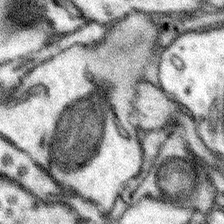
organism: Mouse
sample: Somatosensory cortex neuropil